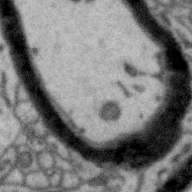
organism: Zebra finch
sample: Brain